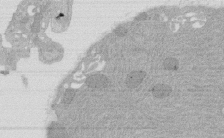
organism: Rat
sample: Salivary granule